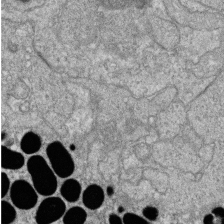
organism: Zebrafish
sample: Cilia; retinal pigment epithelium